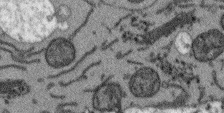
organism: Arabidopsis thaliana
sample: Root tip